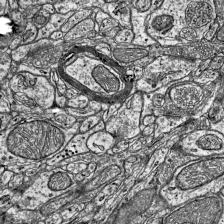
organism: Mouse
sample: Visual Cortex